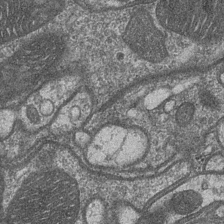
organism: Drosophila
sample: Optic medulla